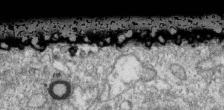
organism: Human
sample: HeLa cell HIV synapse